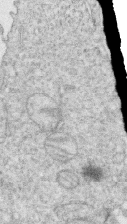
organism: Human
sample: HeLa cell HIV synapse